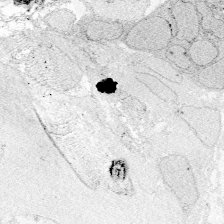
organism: Zebrafish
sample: Whole-Brain